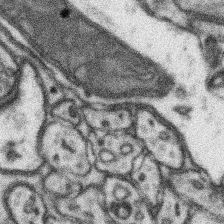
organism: Mouse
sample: Somatosensory cortex neuropil